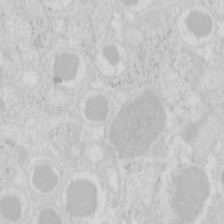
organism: Mouse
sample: Pancreas